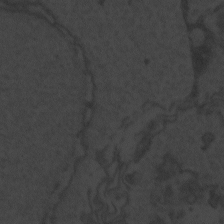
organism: Zebrafish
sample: Macrophage infected with Toxoplasma gondii